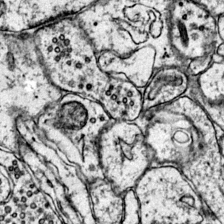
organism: Mouse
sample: Primary visual cortex